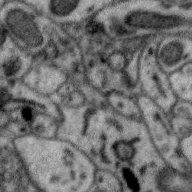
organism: Zebra finch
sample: Brain